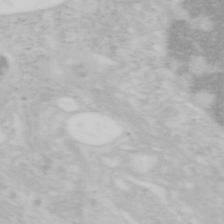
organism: Mouse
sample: OT-I killer T cells with ID8 ovarian cancer cells